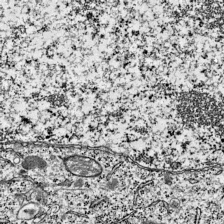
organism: Mouse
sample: Visual Cortex